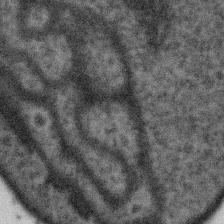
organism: Gemmata obscuriglobus